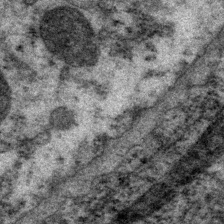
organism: P. pacificus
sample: Pharynx